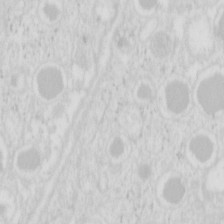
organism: Mouse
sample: Pancreas